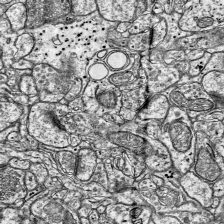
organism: Mouse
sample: Visual Cortex